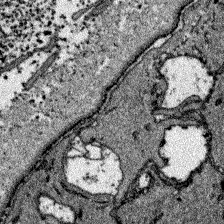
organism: Zebrafish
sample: Larval olfactory bulb